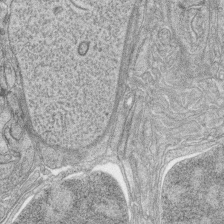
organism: Zebrafish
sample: synaptic ribbons in rod cells and cone cells